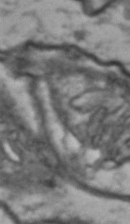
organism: Drosophila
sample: Brain